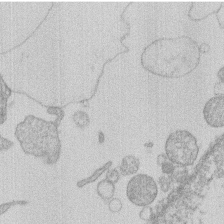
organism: Human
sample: Macrophage cells